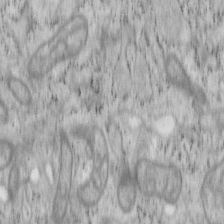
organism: Human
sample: HeLa cells